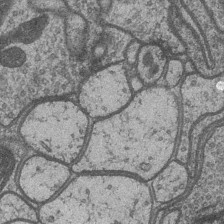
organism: Drosophila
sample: Optic medulla